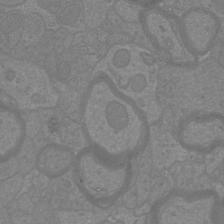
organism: Mouse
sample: Cortical neurons